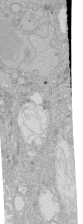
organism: Human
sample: Caco-2 cells